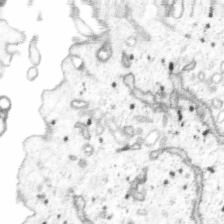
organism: Human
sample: HeLa cells